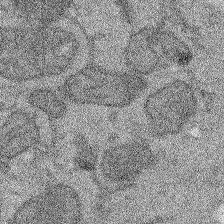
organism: Human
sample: HeLa cells